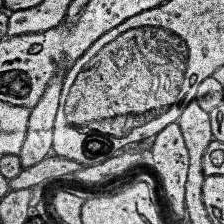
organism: Human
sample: Temporal Lobe